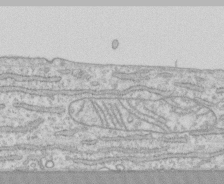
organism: Human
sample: CRL-1474